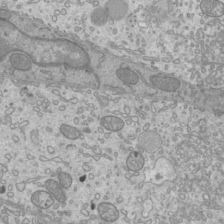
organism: Mouse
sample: Cilia; mouse epididymis